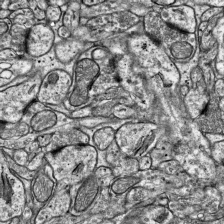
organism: Mouse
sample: Visual Cortex